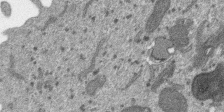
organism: Human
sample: Lung epithelial cells infected with SARS-CoV-2